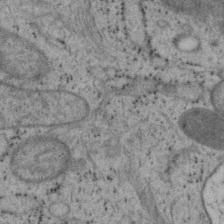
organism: Human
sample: HeLa cells